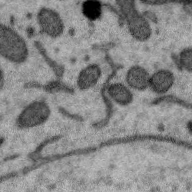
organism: Zebra finch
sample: Brain